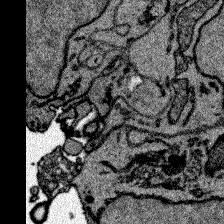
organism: Zebrafish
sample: Larval olfactory bulb